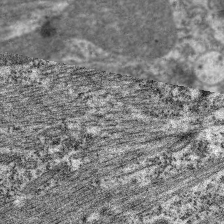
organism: C. elegans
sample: Pharynx